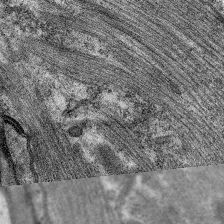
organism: C. elegans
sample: Pharynx